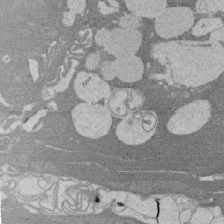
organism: Rat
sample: Salivary granule